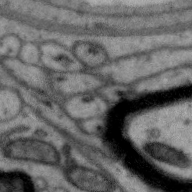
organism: Zebra finch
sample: Brain